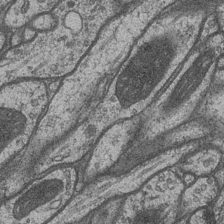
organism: Drosophila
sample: Optic medulla